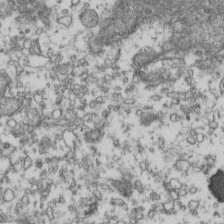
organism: Human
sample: Activated Jurkat CD4+ T cells